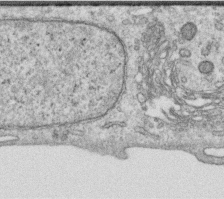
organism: Human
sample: Centriole in RPE cells